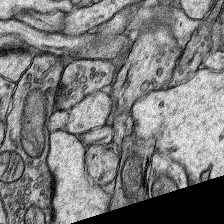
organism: Rat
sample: Hippocampus